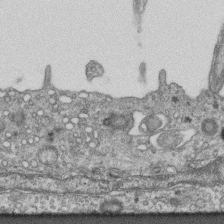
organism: Mouse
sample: Centriole in ependymal cells